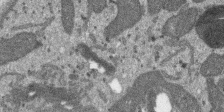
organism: Human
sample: Lung epithelial cells infected with SARS-CoV-2